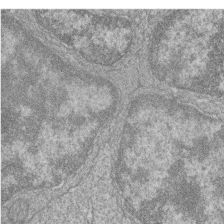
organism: Zebrafish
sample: Cilia; retinal pigment epithelium